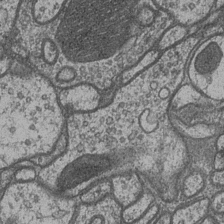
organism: Drosophila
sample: Optic medulla